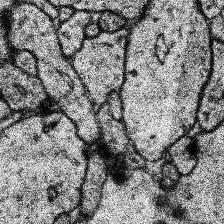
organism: Human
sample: Temporal Lobe